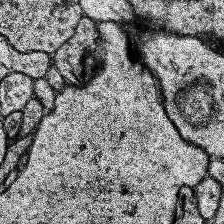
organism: Human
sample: Temporal Lobe